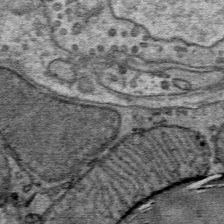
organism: Mouse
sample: Mouse Salivary gland